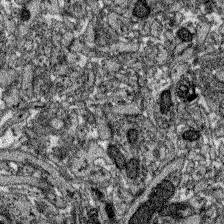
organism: Zebrafish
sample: Larval olfactory bulb